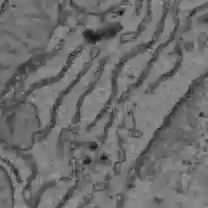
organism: C57BL Mouse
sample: Liver